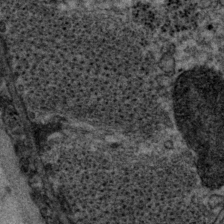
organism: P. pacificus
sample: Pharynx